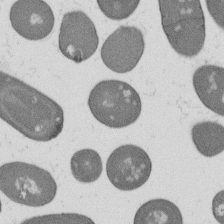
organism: B. subtilis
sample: Bacterial spore